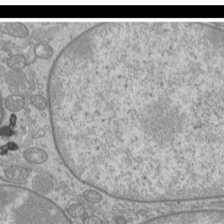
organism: Mouse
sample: Cilia; mouse epididymis